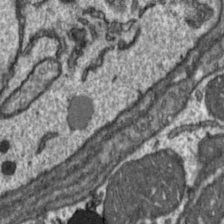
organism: Toxoplasma gondii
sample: Parasites in a vacuole inside a host cell